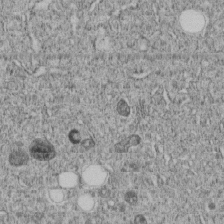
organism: C. elegans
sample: C. elegans embryo early stage